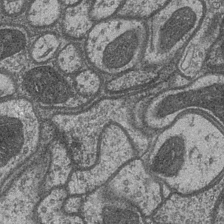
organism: Drosophila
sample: Optic medulla